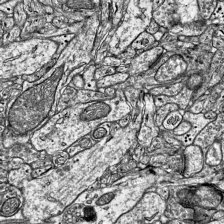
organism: Mouse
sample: Visual Cortex